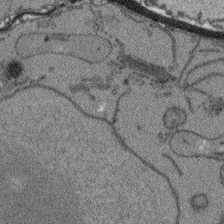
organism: Arabidopsis thaliana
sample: Root tip